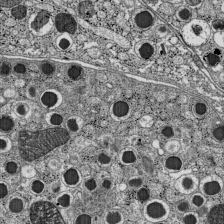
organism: C57BL Mouse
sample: Pancreatic islet